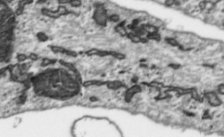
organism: Toxoplasma gondii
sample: Parasites in a vacuole inside a host cell